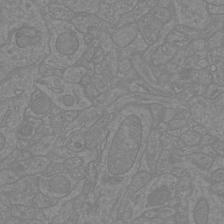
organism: Mouse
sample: Cortical neurons